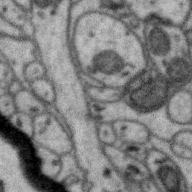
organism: Zebra finch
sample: Brain